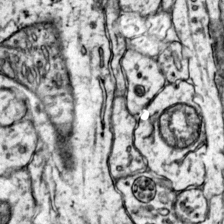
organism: Mouse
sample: Primary visual cortex